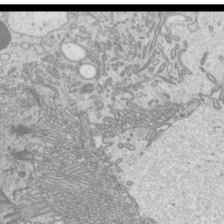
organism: Mouse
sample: Cilia; mouse epididymis